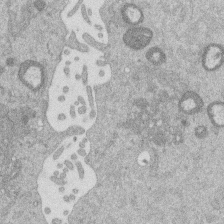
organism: Mouse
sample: Dividing mouse embryo 1 cell stage